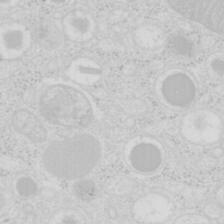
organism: Mouse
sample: Pancreas